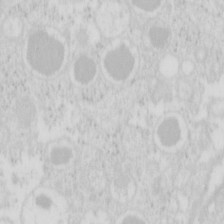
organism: Mouse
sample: Pancreas